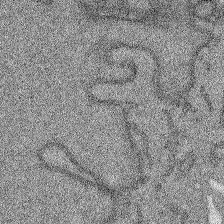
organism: Human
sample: HeLa cells